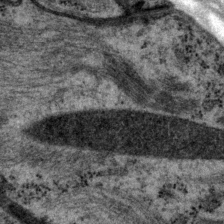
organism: P. pacificus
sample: Pharynx